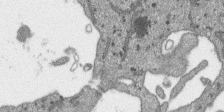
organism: Human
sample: Lung epithelial cells infected with SARS-CoV-2